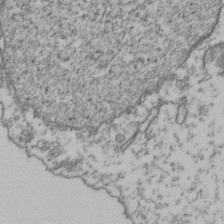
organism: Human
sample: Activated Jurkat CD4+ T cells